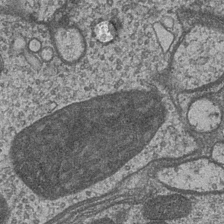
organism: Drosophila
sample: Optic medulla